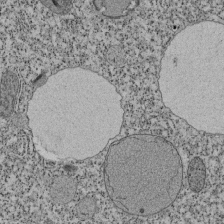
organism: Tetrahymena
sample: Cilia in tetrahymena